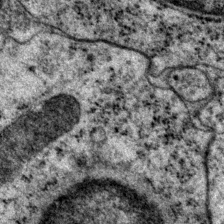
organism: P. pacificus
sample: Pharynx